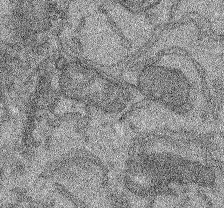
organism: Human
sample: HeLa cells